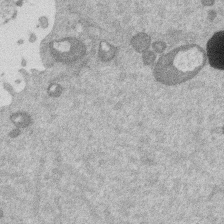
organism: Mouse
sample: Dividing mouse embryo 1 cell stage